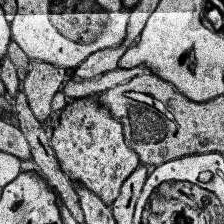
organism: Human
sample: Temporal Lobe